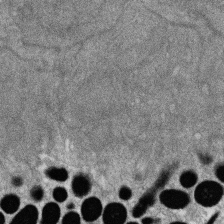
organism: Zebrafish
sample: Cilia; retinal pigment epithelium